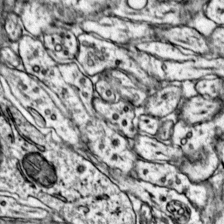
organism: Mouse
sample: Primary visual cortex